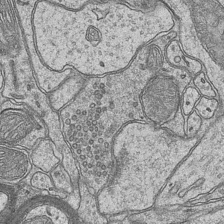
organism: Mouse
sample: CA1 Hippocampus